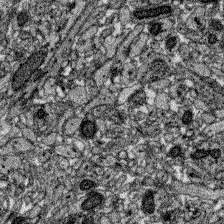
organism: Zebrafish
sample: Larval olfactory bulb